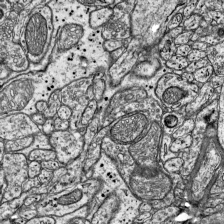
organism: Mouse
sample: Visual Cortex